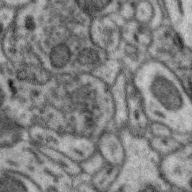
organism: Zebra finch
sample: Brain